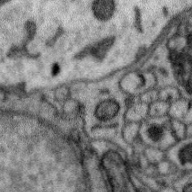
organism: Zebra finch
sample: Brain